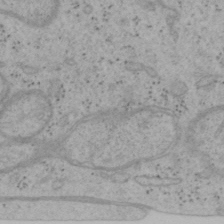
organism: Human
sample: HeLa cells